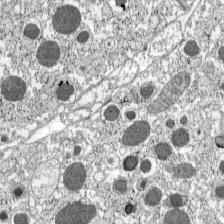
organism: C57BL Mouse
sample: Pancreatic islet